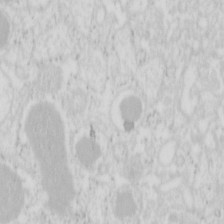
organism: Mouse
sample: Pancreas